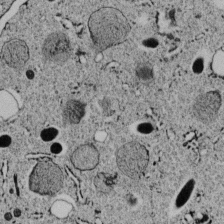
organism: C. elegans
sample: C. elegans embryo early stage